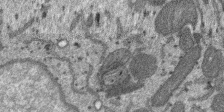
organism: Human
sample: Lung epithelial cells infected with SARS-CoV-2